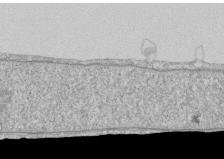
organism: Human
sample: CRL-1474